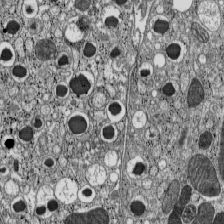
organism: C57BL Mouse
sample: Pancreatic islet